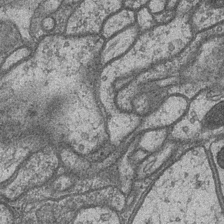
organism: Drosophila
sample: Optic medulla